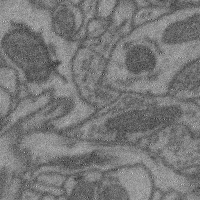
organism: Mouse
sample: Cerebral cortex